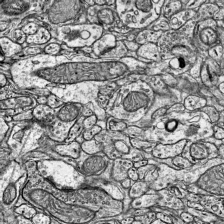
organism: Mouse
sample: Visual Cortex